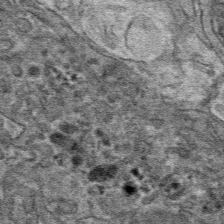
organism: Mouse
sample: Mouse hepatocytes